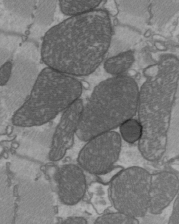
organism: C57BL Mouse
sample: Heart